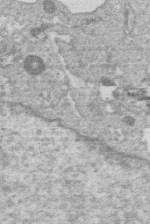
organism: Human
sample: Macrophage cells